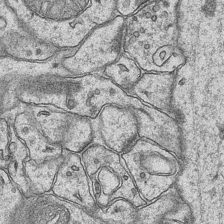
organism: Mouse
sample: CA1 Hippocampus